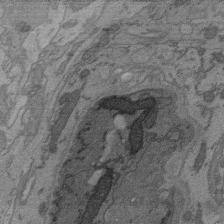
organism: C. elegans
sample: AFD neurons C. elegans